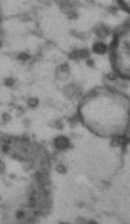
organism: Drosophila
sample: Brain